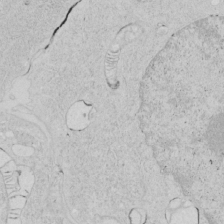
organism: Human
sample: Mitochondria in HCT116 cells